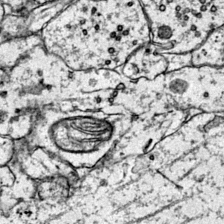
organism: Mouse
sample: Primary visual cortex